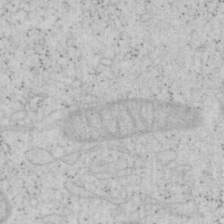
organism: Human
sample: HeLa cells